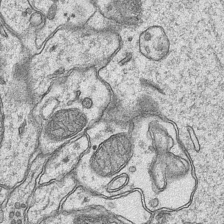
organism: Mouse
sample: CA1 Hippocampus